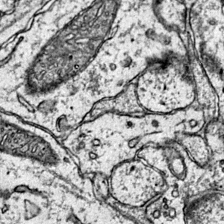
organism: Mouse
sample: Primary visual cortex